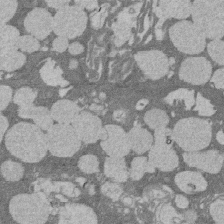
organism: Rat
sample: Salivary granule